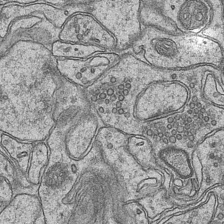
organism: Mouse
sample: CA1 Hippocampus